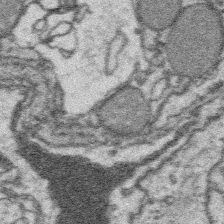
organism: Platynereis dumerilii